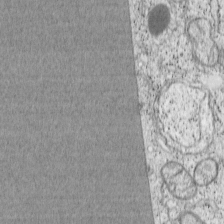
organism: African green monkey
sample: COS-7 cells